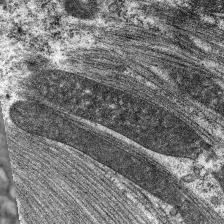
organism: C. elegans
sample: Pharynx